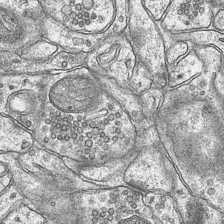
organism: Mouse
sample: CA1 Hippocampus